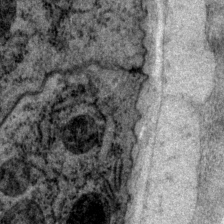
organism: P. pacificus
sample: Pharynx